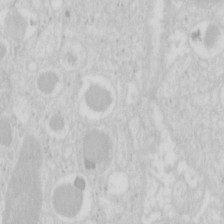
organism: Mouse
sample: Pancreas